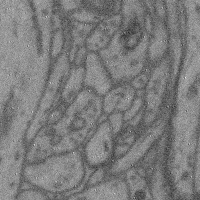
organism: Mouse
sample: Cerebral cortex